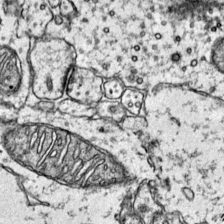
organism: Mouse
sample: Primary visual cortex